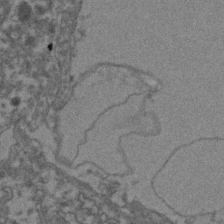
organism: Zebrafish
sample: Zebrafish embryo